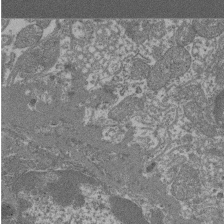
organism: Mouse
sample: Glomerulus